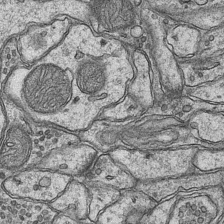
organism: Mouse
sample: CA1 Hippocampus